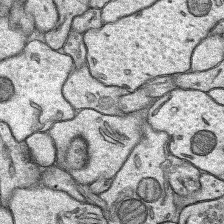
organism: Rat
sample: Hippocampus